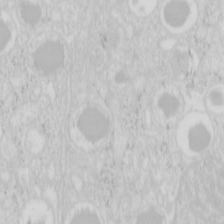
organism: Mouse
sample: Pancreas